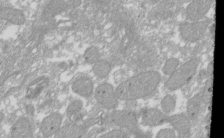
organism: Xenopus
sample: Cilia; centrioles in frog embryo cells